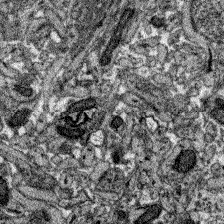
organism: Zebrafish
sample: Larval olfactory bulb